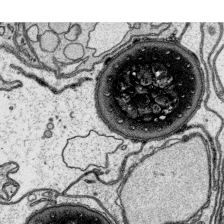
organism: Platynereis dumerilii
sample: Parapodia